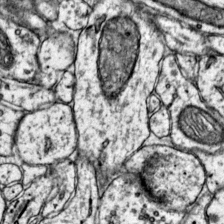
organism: Mouse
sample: Primary visual cortex